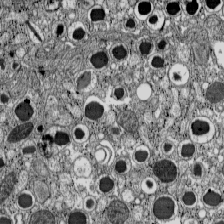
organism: C57BL Mouse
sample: Pancreatic islet